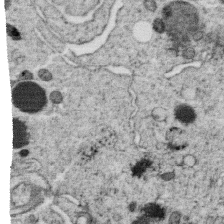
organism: C. elegans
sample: C. elegans oocyte; sperm cells